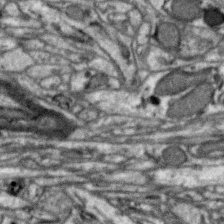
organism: Zebra finch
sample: Brain